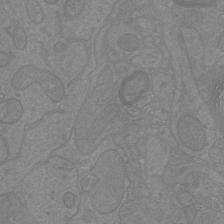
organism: Mouse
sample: Cortical neurons